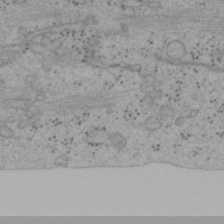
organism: Human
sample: HeLa cells